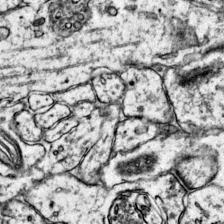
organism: Mouse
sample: Primary visual cortex